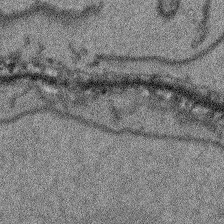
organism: Arabidopsis thaliana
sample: Root tip